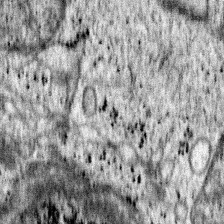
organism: Human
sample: HeLa cells